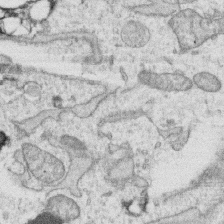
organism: Human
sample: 1205lu cells